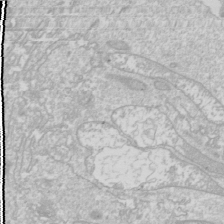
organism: Drosophila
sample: Cell division; meiosis; drosophila spermatocytes